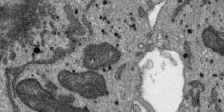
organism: Human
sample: Lung epithelial cells, uninfected (mock) control